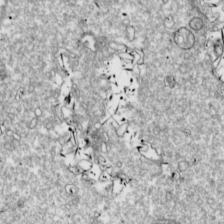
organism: Drosophila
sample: Cell division; meiosis; drosophila spermatocytes